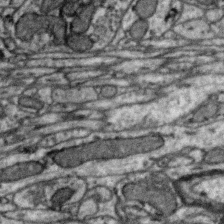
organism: Zebra finch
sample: Brain